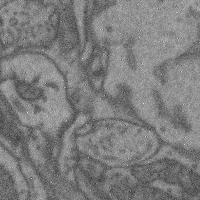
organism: Mouse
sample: Cerebral cortex